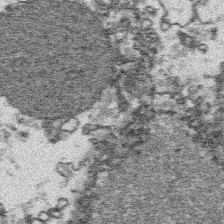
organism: Platynereis dumerilii